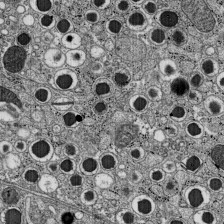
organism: C57BL Mouse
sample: Pancreatic islet